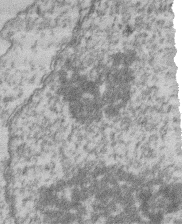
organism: Mouse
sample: T cell stromal cell synapse